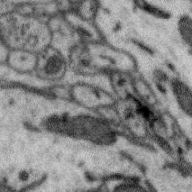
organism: Zebra finch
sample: Brain